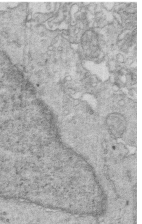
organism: Mouse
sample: Multiciliated cells